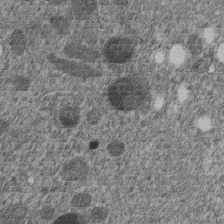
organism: C. elegans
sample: C. elegans embryo early stage